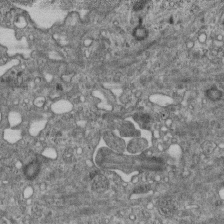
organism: Mouse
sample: Centriole in ependymal cells